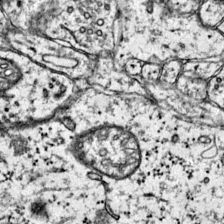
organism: Mouse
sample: Primary visual cortex